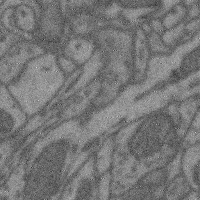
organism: Mouse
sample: Cerebral cortex